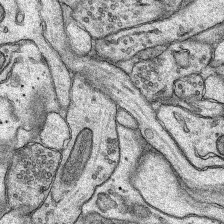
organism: Rat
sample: Hippocampus